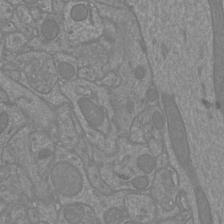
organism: Mouse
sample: Cortical neurons